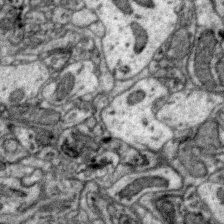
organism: Zebra finch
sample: Brain